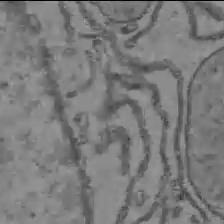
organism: C57BL Mouse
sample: Liver